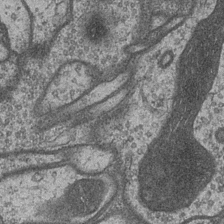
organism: Drosophila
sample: Optic medulla